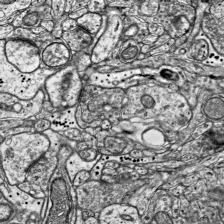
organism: Mouse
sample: Visual Cortex